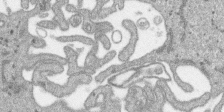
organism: Human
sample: Lung epithelial cells infected with SARS-CoV-2